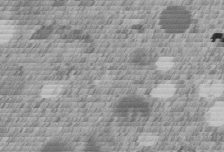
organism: C. elegans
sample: C. elegans embryo early stage